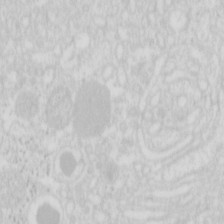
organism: Mouse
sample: Pancreas